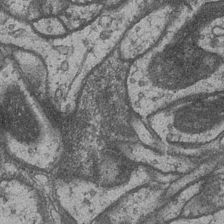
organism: Drosophila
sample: Optic medulla